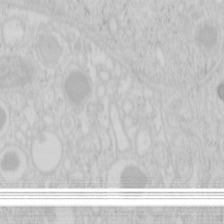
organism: Mouse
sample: Pancreas